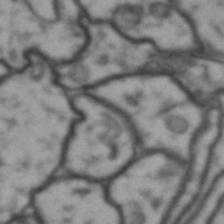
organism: Drosophila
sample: Brain